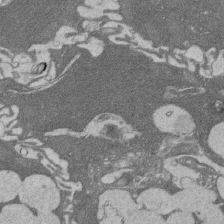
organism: Rat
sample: Salivary granule